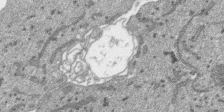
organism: Human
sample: Lung epithelial cells infected with SARS-CoV-2